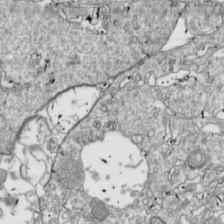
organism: Drosophila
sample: Cell division; meiosis; drosophila spermatocytes